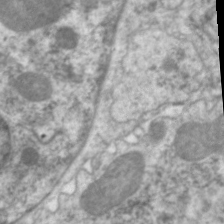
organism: C. elegans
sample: Pharynx